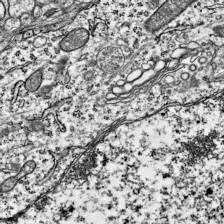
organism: Mouse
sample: Visual Cortex